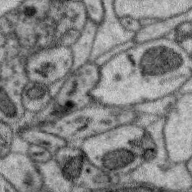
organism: Zebra finch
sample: Brain